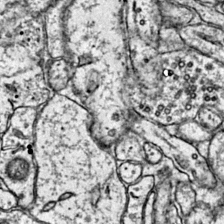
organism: Mouse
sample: Primary visual cortex